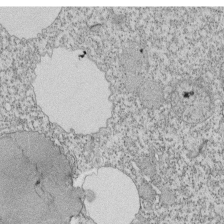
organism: Tetrahymena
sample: Cilia in tetrahymena